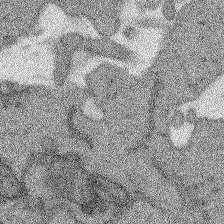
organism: Human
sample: HeLa cells